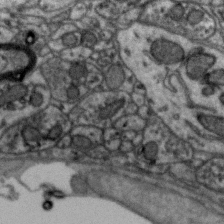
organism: Zebra finch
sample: Brain